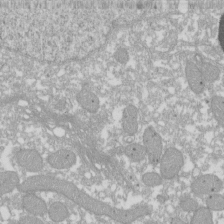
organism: Xenopus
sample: Cilia; centrioles in frog embryo cells